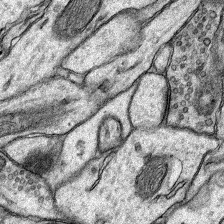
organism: Rat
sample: Hippocampus